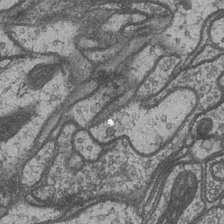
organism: Drosophila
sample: Optic medulla